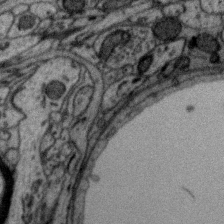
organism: Zebra finch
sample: Brain